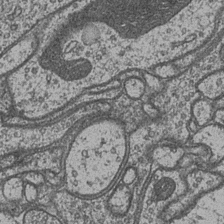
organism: Drosophila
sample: Optic medulla